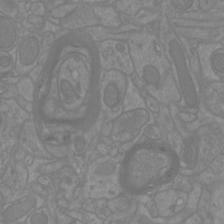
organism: Mouse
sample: Cortical neurons